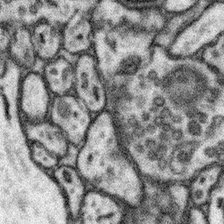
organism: Mouse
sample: Somatosensory cortex neuropil